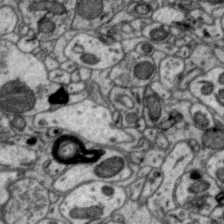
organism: Zebra finch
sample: Brain